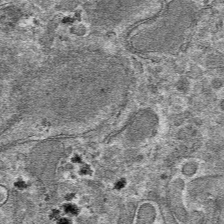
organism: Mouse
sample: Mouse hepatocytes